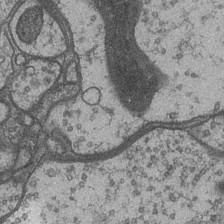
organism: Drosophila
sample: Optic medulla